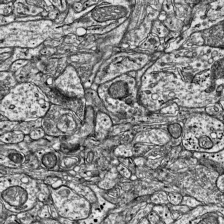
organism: Mouse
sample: Visual Cortex